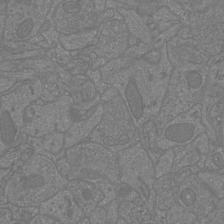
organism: Mouse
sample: Cortical neurons